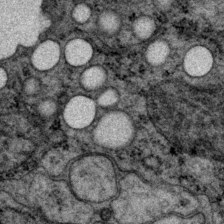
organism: P. pacificus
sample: Pharynx